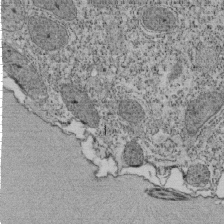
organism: Tetrahymena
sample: Cilia in tetrahymena